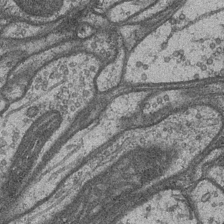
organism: Drosophila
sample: Optic medulla